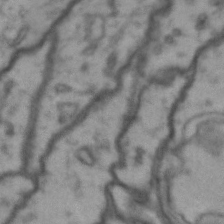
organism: Drosophila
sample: Brain